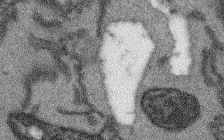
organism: Arabidopsis thaliana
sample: Root tip